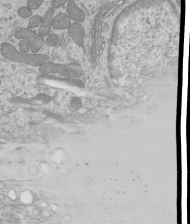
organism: Mouse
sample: Cilia; mouse epididymis